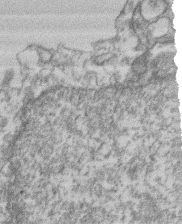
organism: Mouse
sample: T cell stromal cell synapse